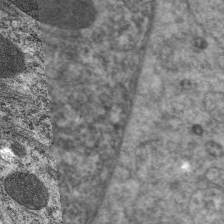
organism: C. elegans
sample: Pharynx